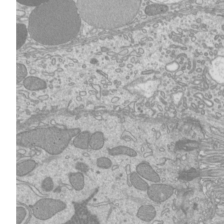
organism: Mouse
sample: Cilia; mouse epididymis